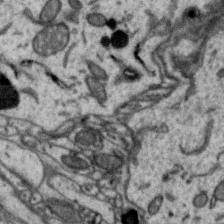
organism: Zebra finch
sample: Brain